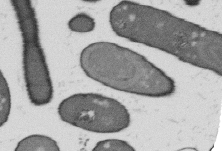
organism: B. subtilis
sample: Bacterial spore